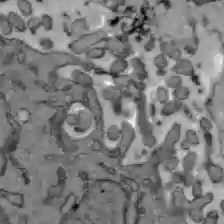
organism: C57BL Mouse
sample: Liver